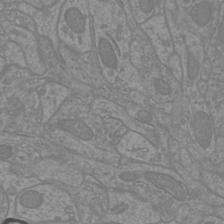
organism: Mouse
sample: Cortical neurons